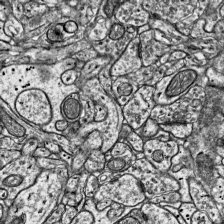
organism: Mouse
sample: Visual Cortex